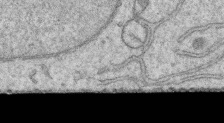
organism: Human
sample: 1205lu cells